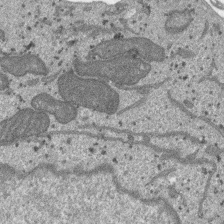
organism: Human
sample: Lung epithelial cells infected with SARS-CoV-2